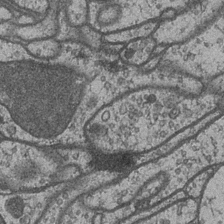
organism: Drosophila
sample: Optic medulla